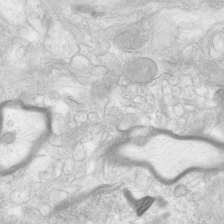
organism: Human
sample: Neocortex